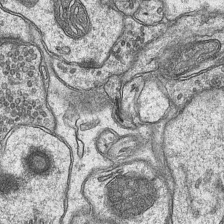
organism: Mouse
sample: CA1 Hippocampus